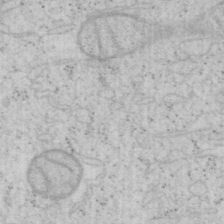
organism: Human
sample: HeLa cells